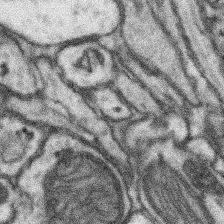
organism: Mouse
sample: Somatosensory cortex neuropil